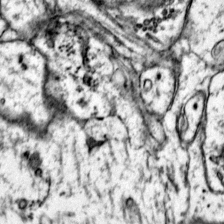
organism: Mouse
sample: Primary visual cortex